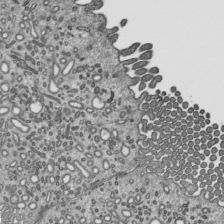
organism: Mouse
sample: Mouse epididymis efferent ductule cilia